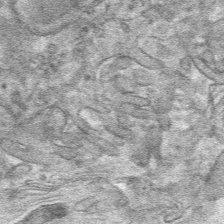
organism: Mouse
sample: Mouse hepatocytes